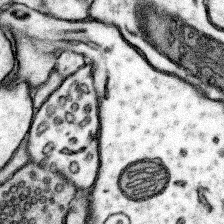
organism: Mouse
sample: Somatosensory cortex neuropil